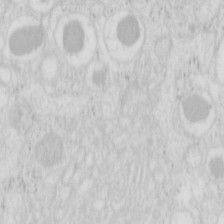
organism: Mouse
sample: Pancreas